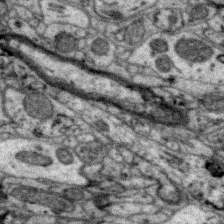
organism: Zebra finch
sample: Brain